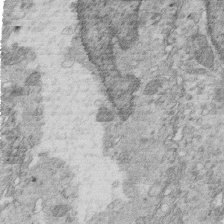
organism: Mouse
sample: Multiciliated cells